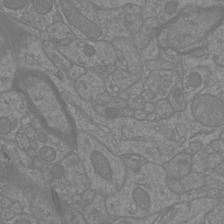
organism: Mouse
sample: Cortical neurons